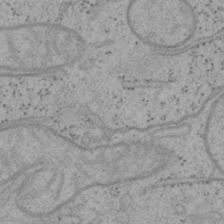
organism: Human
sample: HeLa cells